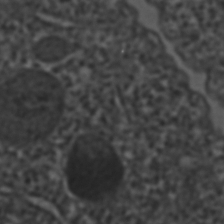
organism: C. elegans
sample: C. elegans embryo